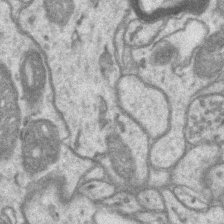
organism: Mouse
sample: CA1 Hippocampus